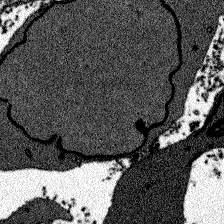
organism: Zebrafish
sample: Larval olfactory bulb